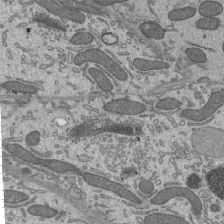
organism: Mouse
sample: Mouse epididymis efferent ductule cilia